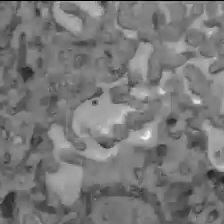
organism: C57BL Mouse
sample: Liver